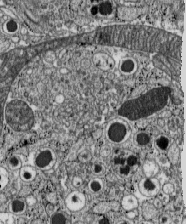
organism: C57BL Mouse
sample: Pancreatic islet